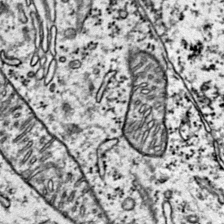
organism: Mouse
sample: Primary visual cortex